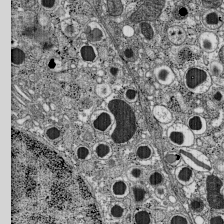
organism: C57BL Mouse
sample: Pancreatic islet